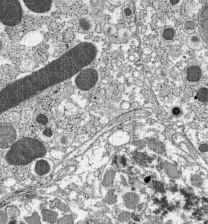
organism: C57BL Mouse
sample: Pancreatic islet